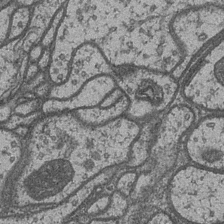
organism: Drosophila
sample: Optic medulla